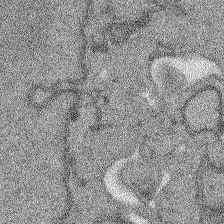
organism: Human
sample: HeLa cells